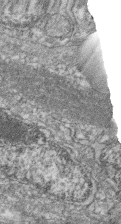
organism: Zebrafish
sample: Cilia; retinal pigment epithelium